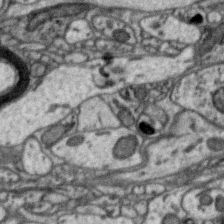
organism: Zebra finch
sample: Brain